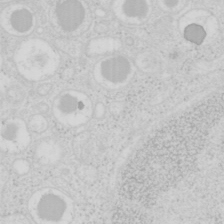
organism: Mouse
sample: Pancreas